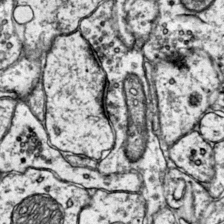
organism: Mouse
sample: Primary visual cortex